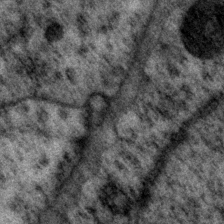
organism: P. pacificus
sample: Pharynx